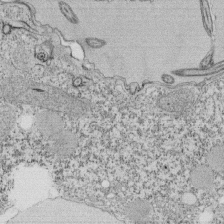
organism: Tetrahymena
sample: Cilia in tetrahymena